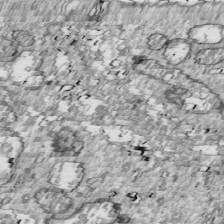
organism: Drosophila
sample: Cell division; meiosis; drosophila spermatocytes